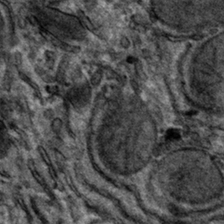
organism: Mouse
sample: Mouse hepatocytes